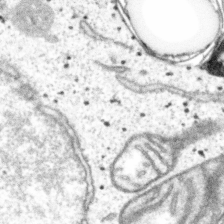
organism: Human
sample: HeLa cells